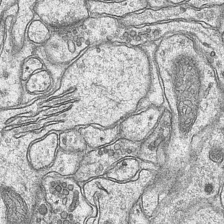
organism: Mouse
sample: CA1 Hippocampus